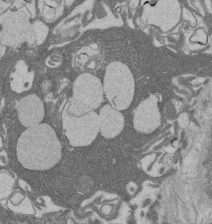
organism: Rat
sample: Salivary granule